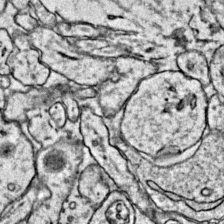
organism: Mouse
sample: Primary visual cortex